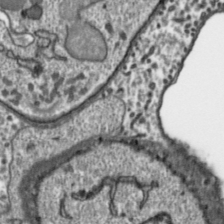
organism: Toxoplasma gondii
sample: Parasites in a vacuole inside a host cell